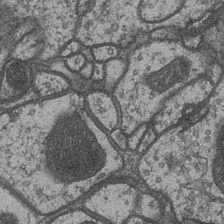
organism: Drosophila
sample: Optic medulla